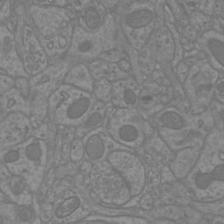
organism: Mouse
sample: Cortical neurons